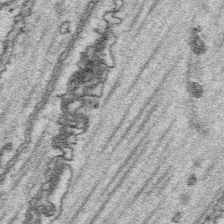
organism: Platynereis dumerilii